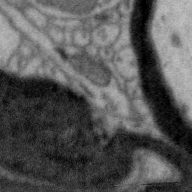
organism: Zebra finch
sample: Brain